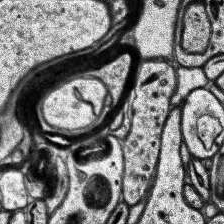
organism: Human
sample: Temporal Lobe